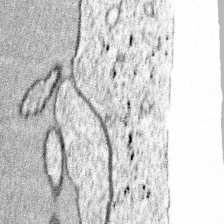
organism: Human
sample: HeLa cells